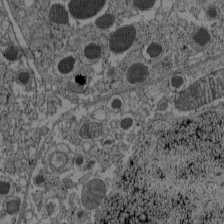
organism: C57BL Mouse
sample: Pancreatic islet